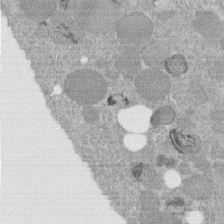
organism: C. elegans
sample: C. elegans embryo early stage